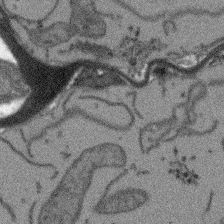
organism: Arabidopsis thaliana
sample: Root tip